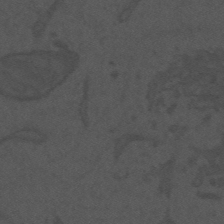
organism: Mouse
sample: Suprachiasmatic nucleus